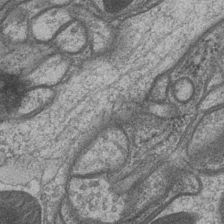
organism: Drosophila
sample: Optic medulla